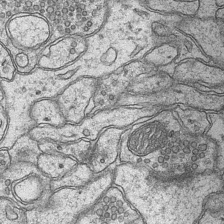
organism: Mouse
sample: CA1 Hippocampus